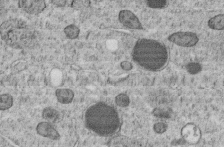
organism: C. elegans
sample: C. elegans embryo early stage